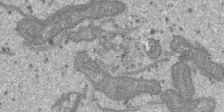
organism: Human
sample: Lung epithelial cells infected with SARS-CoV-2